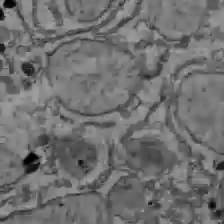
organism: C57BL Mouse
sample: Liver